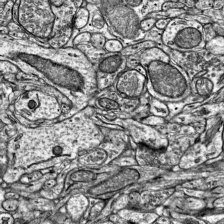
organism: Mouse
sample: Visual Cortex